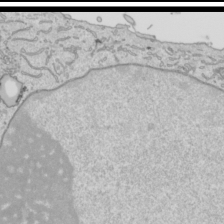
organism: Human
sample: Mitochondria in HCT116 cells